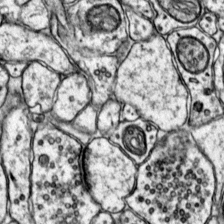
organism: Mouse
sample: Primary visual cortex